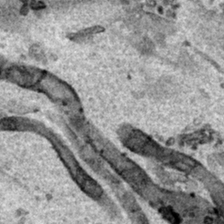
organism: Human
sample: Mitochondria in HCT116 cells